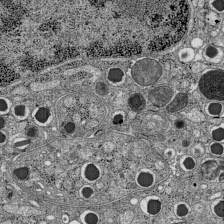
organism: C57BL Mouse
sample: Pancreatic islet